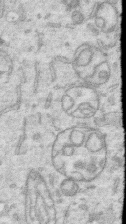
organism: Human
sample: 1205lu cells